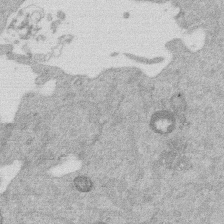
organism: Mouse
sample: Dividing mouse embryo 1 cell stage